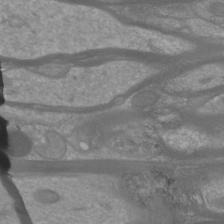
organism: Mouse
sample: Cortical neurons